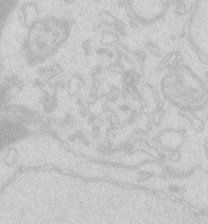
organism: Zebrafish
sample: Macrophage